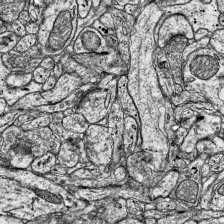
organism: Mouse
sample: Visual Cortex